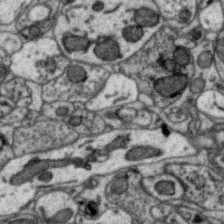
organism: Zebra finch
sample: Brain